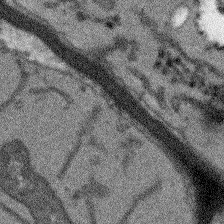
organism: Arabidopsis thaliana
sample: Root tip